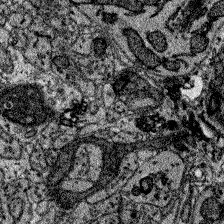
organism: Zebrafish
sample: Larval olfactory bulb